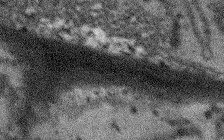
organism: Arabidopsis thaliana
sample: Root tip